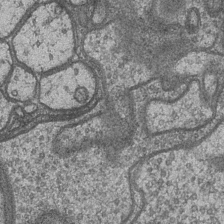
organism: Drosophila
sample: Optic medulla